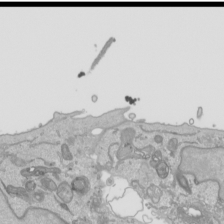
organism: Human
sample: Mitochondria in HCT116 cells